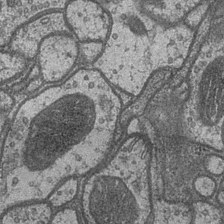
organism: Drosophila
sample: Optic medulla